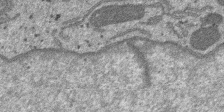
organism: Human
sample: Lung epithelial cells infected with SARS-CoV-2